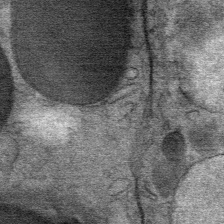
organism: Mouse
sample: Mouse Salivary gland